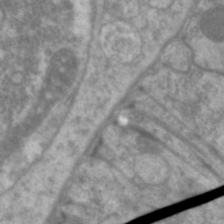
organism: C. elegans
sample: Pharynx